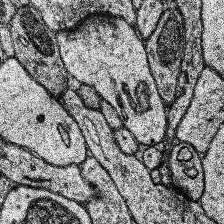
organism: Human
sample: Temporal Lobe